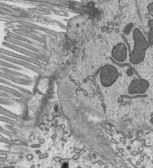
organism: Mouse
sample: Mouse epididymis efferent ductule cilia